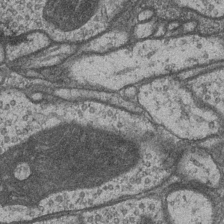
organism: Drosophila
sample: Optic medulla